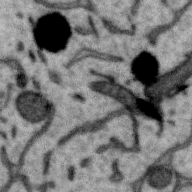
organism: Zebra finch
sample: Brain